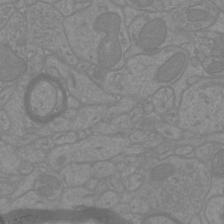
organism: Mouse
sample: Cortical neurons